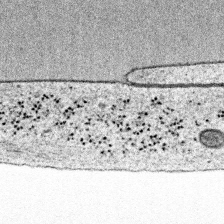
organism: Human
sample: HeLa cells